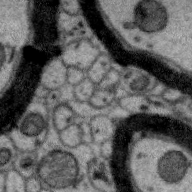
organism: Zebra finch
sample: Brain